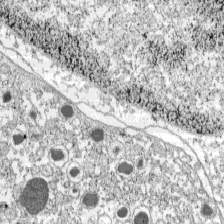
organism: C57BL Mouse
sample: Pancreatic islet